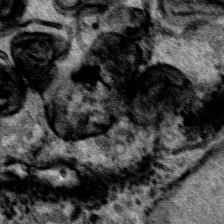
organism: Human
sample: Mitochondria in HCT116 cells